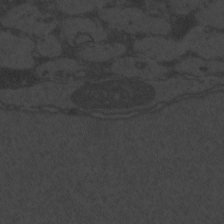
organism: Zebrafish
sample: Macrophage infected with Toxoplasma gondii